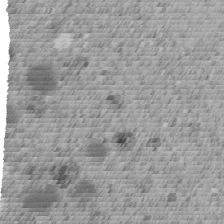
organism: C. elegans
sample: C. elegans embryo early stage